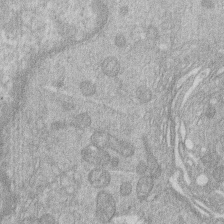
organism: Human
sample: Macrophage cells